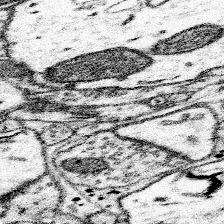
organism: Mouse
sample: Somatosensory cortex neuropil